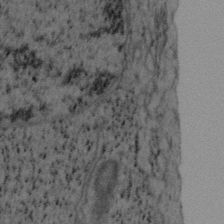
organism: Human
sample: HeLa cells